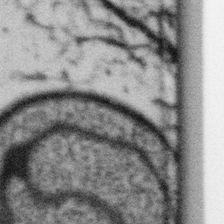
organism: Gemmata obscuriglobus